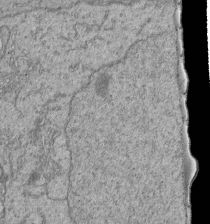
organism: Human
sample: Retinal organoid Rod and Cone cells